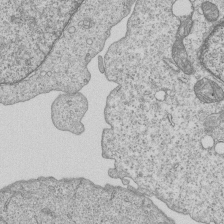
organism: Human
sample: MDA-MB-231 cells